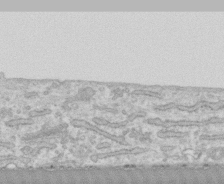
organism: Human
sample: CRL-1474